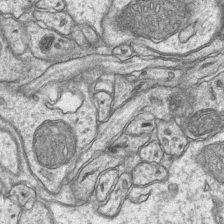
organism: Mouse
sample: CA1 Hippocampus